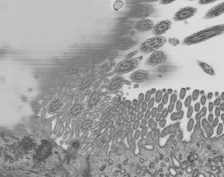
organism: Mouse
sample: Mouse epididymis efferent ductule cilia